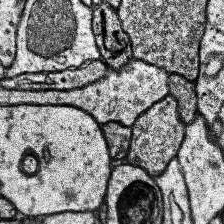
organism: Human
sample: Temporal Lobe